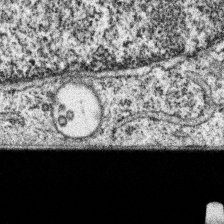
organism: Human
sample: HeLa cells